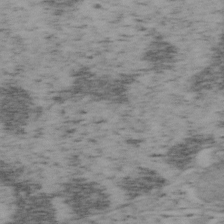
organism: Mouse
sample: OT-I killer T cells with ID8 ovarian cancer cells